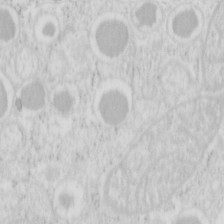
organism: Mouse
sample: Pancreas